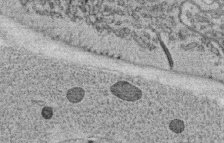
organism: C. elegans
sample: C. elegans oocyte; sperm cells